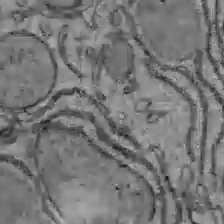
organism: C57BL Mouse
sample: Liver